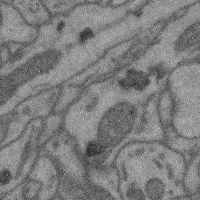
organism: Mouse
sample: Cerebral cortex